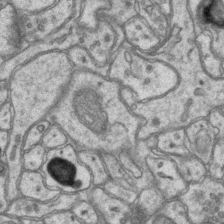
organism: Mouse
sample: CA1 Hippocampus